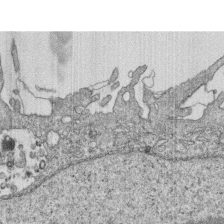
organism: Human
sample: HeLa cell HIV synapse